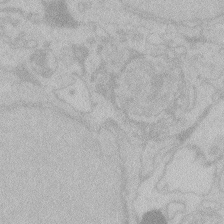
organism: Zebrafish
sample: Macrophage infected with Toxoplasma gondii